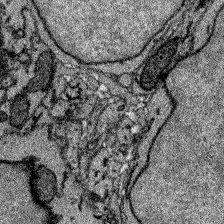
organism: Zebrafish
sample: Larval olfactory bulb